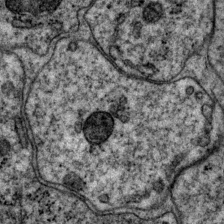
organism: P. pacificus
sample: Pharynx